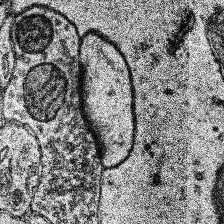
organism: Human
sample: Temporal Lobe